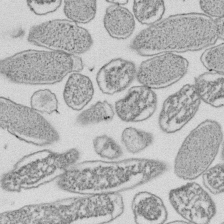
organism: E. coli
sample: Bacterial nucleoid